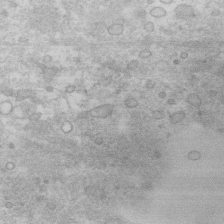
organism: Human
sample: Fibroblast cells